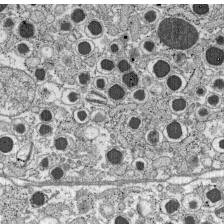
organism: C57BL Mouse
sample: Pancreatic islet